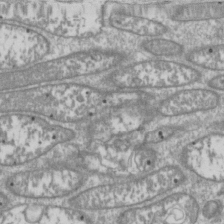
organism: Drosophila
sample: Cell division; meiosis; drosophila spermatocytes